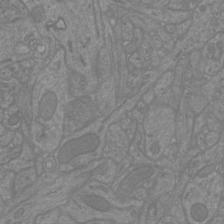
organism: Mouse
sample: Cortical neurons